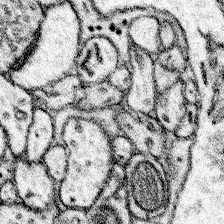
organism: Mouse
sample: Somatosensory cortex neuropil